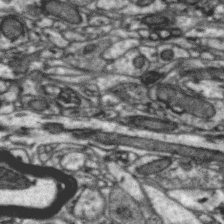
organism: Zebra finch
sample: Brain